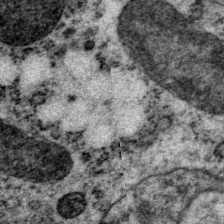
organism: P. pacificus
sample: Pharynx